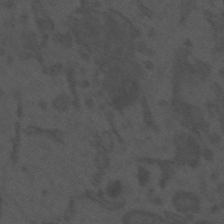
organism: Mouse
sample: Suprachiasmatic nucleus